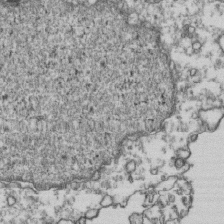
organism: Human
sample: Activated Jurkat CD4+ T cells